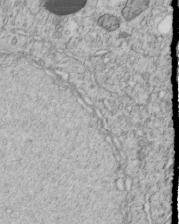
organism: C. elegans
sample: C. elegans embryo early stage